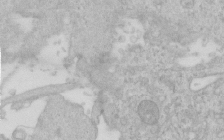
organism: Human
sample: Centriole in RPE cells